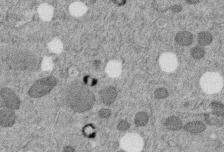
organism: C. elegans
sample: C. elegans embryo early stage